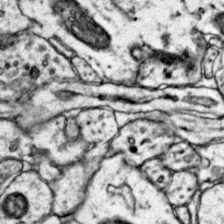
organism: Mouse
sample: Primary visual cortex